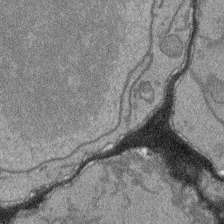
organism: Arabidopsis thaliana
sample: Root tip